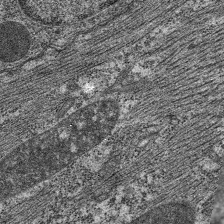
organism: C. elegans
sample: Pharynx